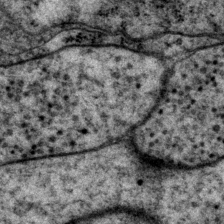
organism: P. pacificus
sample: Pharynx